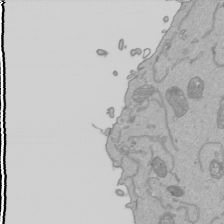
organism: Human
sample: Mitochondria in HCT116 cells